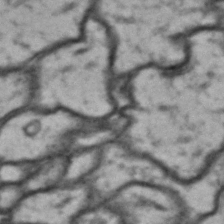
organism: Drosophila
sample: Brain